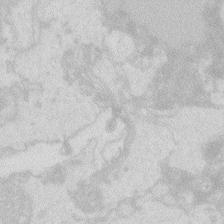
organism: Zebrafish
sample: Macrophage